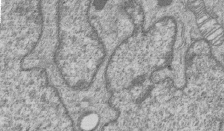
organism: Human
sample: MDA-MB-231 cells